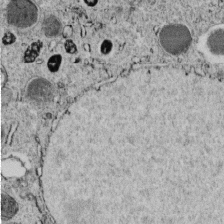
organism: C. elegans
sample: C. elegans embryo early stage